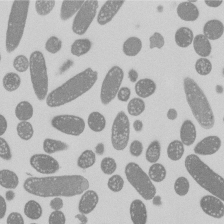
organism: E. coli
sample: Bacterial nucleoid